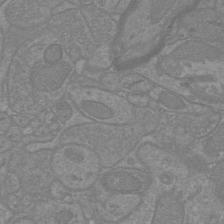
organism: Mouse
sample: Cortical neurons